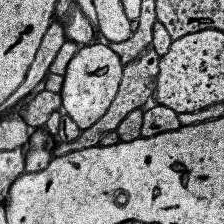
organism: Human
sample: Temporal Lobe